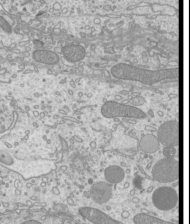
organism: Mouse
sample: Cilia; mouse epididymis